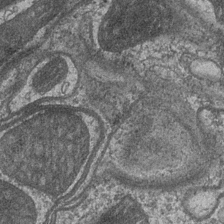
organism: Drosophila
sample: Optic medulla